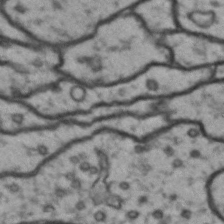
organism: Drosophila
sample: Brain